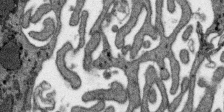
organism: Human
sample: Lung epithelial cells, uninfected (mock) control